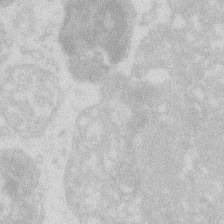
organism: Zebrafish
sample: Macrophage